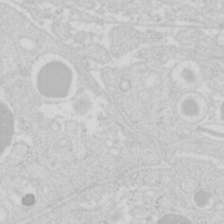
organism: Mouse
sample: Pancreas